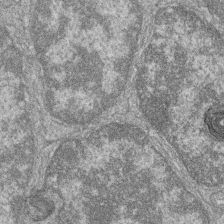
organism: Zebrafish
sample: Cilia; retinal pigment epithelium